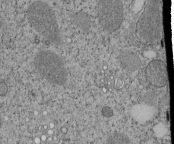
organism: Tetrahymena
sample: Cilia in tetrahymena